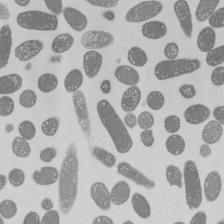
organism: E. coli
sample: Bacterial nucleoid